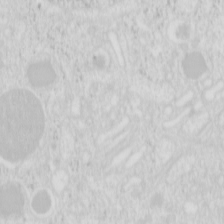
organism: Mouse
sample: Pancreas